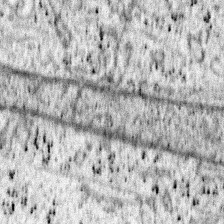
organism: Human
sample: HeLa cells